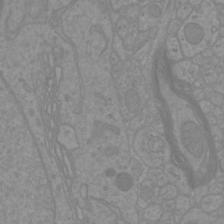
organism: Mouse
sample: Cortical neurons